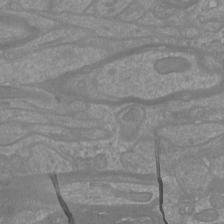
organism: Mouse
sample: Cortical neurons